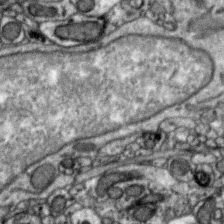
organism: Zebra finch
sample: Brain